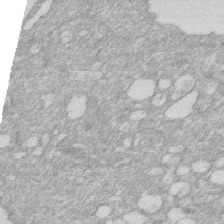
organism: Human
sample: HIV infected U937 cells